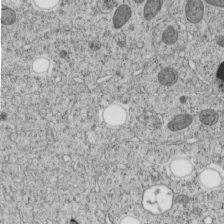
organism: C. elegans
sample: C. elegans embryo early stage